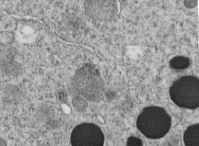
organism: C. elegans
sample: C. elegans embryo early stage